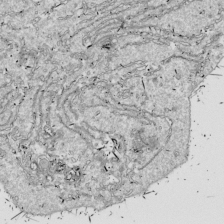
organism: Drosophila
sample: Cell division; meiosis; drosophila spermatocytes